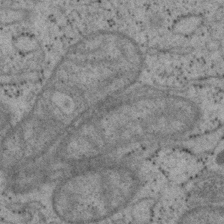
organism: Human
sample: HeLa cells